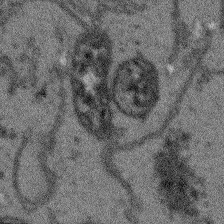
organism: Arabidopsis thaliana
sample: Root tip